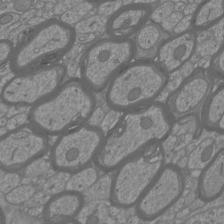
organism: Mouse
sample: Cortical neurons